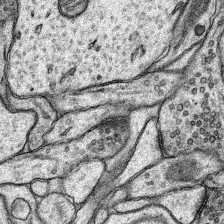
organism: Rat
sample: Hippocampus